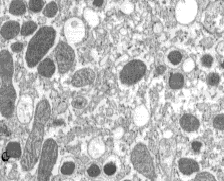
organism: C57BL Mouse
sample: Pancreatic islet